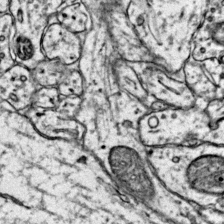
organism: Mouse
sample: Primary visual cortex